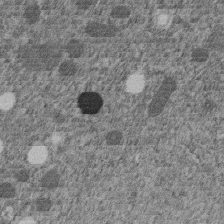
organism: C. elegans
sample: C. elegans embryo early stage